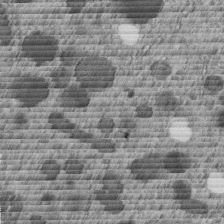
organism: C. elegans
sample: C. elegans embryo early stage